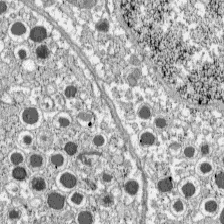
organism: C57BL Mouse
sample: Pancreatic islet